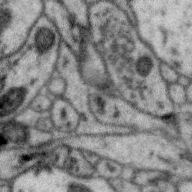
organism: Zebra finch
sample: Brain